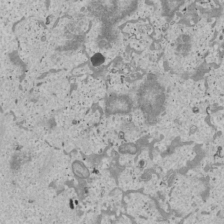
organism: Human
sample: Mitochondria in U2OS cells